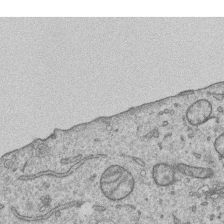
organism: Human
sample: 1205lu cells